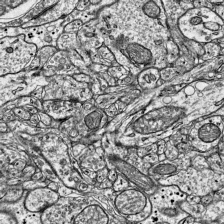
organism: Mouse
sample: Visual Cortex